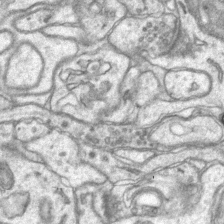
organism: Mouse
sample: CA1 Hippocampus